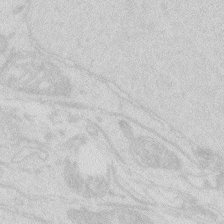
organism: Zebrafish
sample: Macrophage